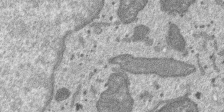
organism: Human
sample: Lung epithelial cells infected with SARS-CoV-2